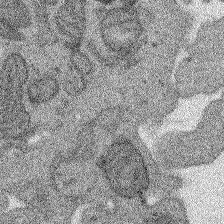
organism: Human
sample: HeLa cells